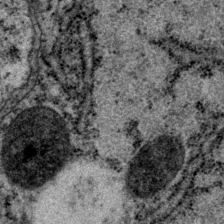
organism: P. pacificus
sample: Pharynx